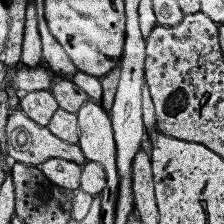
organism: Human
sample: Temporal Lobe